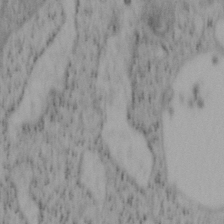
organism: Mouse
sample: OT-I killer T cells with ID8 ovarian cancer cells